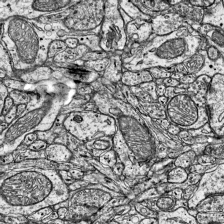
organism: Mouse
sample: Visual Cortex